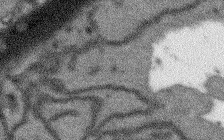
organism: Arabidopsis thaliana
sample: Root tip